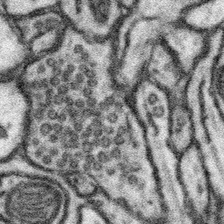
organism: Mouse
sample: Somatosensory cortex neuropil